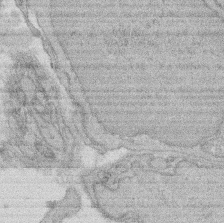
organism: Rat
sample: Salivary granule